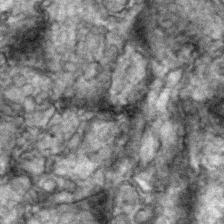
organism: Zebrafish